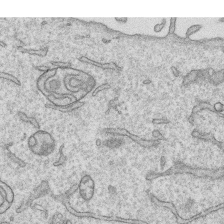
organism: Human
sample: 1205lu cells